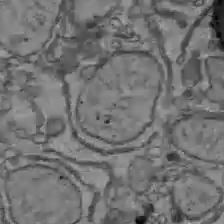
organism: C57BL Mouse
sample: Liver